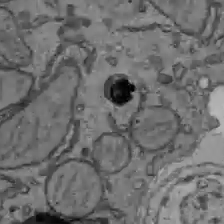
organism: C57BL Mouse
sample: Liver